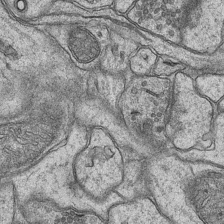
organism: Mouse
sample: CA1 Hippocampus